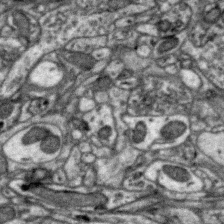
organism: Zebra finch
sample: Brain